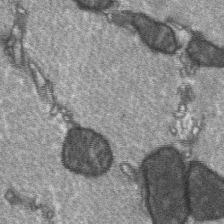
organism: C57BL Mouse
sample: Soleus